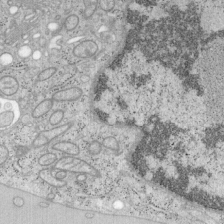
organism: Mouse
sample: OT-I killer T cells with ID8 ovarian cancer cells